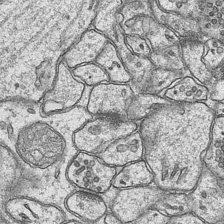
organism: Mouse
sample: CA1 Hippocampus